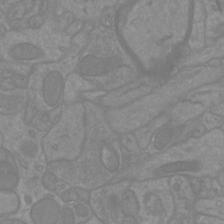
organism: Mouse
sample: Cortical neurons